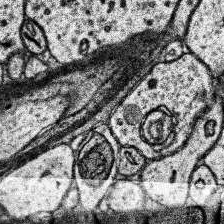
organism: Human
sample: Temporal Lobe